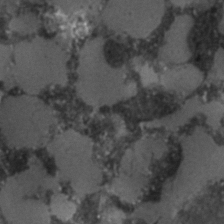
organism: C. elegans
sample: C. elegans embryo